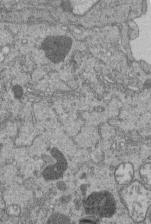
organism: Human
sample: Retinal organoid Rod and Cone cells